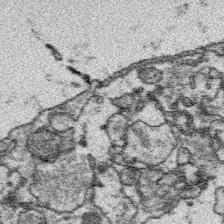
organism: Platynereis dumerilii